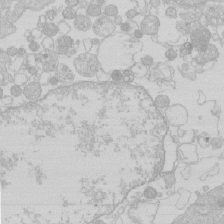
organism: Human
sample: Macrophage cells